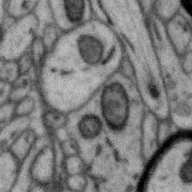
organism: Zebra finch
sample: Brain